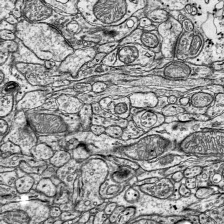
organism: Mouse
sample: Visual Cortex